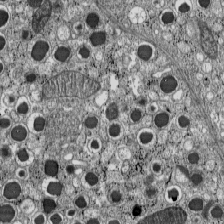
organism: C57BL Mouse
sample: Pancreatic islet